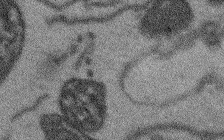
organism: Arabidopsis thaliana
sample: Root tip